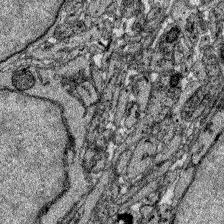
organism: Zebrafish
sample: Larval olfactory bulb